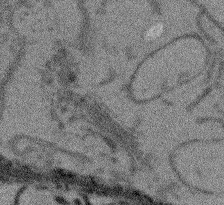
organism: Arabidopsis thaliana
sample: Root tip